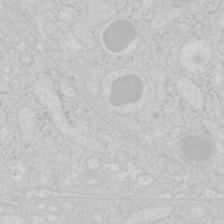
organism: Mouse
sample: Pancreas